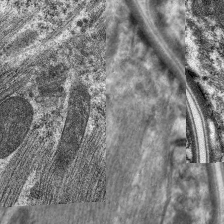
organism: C. elegans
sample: Pharynx